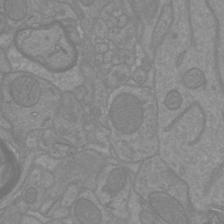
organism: Mouse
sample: Cortical neurons